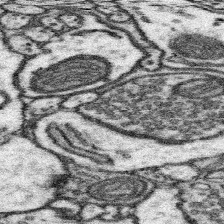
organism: Mouse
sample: Somatosensory cortex neuropil